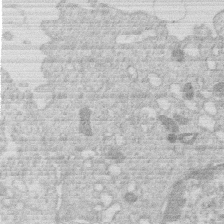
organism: Human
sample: Macrophage cells